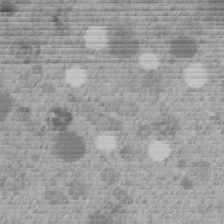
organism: C. elegans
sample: C. elegans embryo early stage